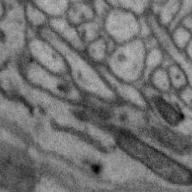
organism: Zebra finch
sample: Brain